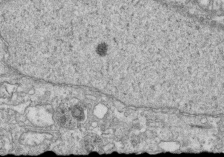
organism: Human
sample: HeLa cell HIV synapse